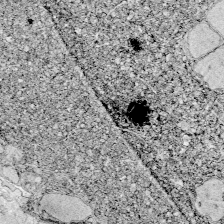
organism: Zebrafish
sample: Whole-Brain